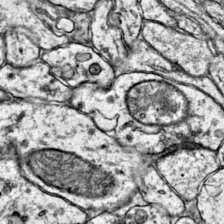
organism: Mouse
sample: Primary visual cortex